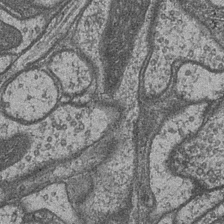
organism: Drosophila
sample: Optic medulla